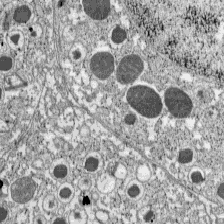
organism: C57BL Mouse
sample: Pancreatic islet